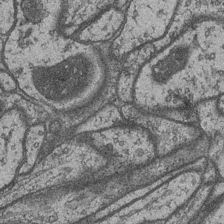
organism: Drosophila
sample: Optic medulla